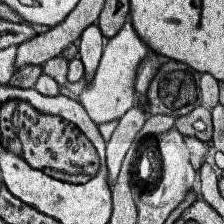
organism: Human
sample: Temporal Lobe